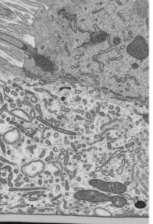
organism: Mouse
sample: Mouse epididymis efferent ductule cilia